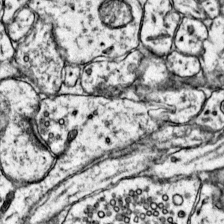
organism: Mouse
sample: Primary visual cortex